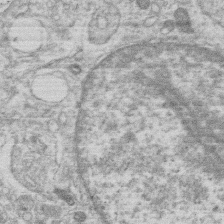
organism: Human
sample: Macrophage cells